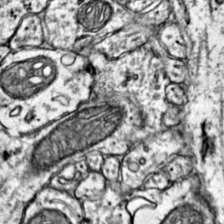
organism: Mouse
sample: Primary visual cortex